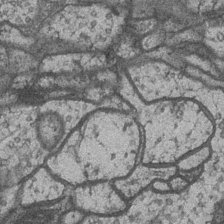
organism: Drosophila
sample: Optic medulla